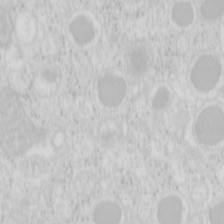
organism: Mouse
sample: Pancreas